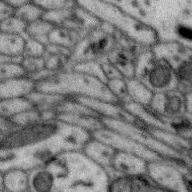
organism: Zebra finch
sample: Brain